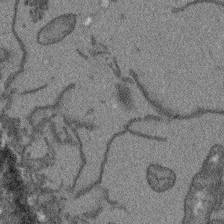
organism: Arabidopsis thaliana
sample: Root tip